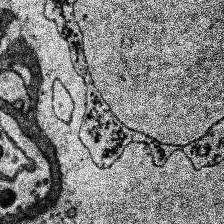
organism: Human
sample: Temporal Lobe